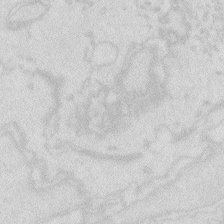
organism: Zebrafish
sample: Macrophage